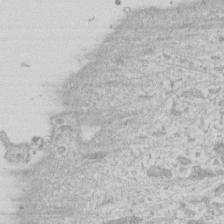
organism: Human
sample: Fibroblast cells